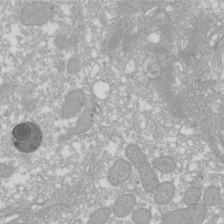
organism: Xenopus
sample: Cilia; centrioles in frog embryo cells